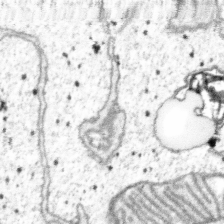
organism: Human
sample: HeLa cells